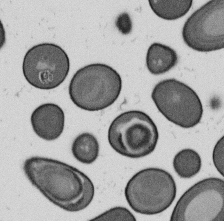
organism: B. subtilis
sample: Bacterial spore